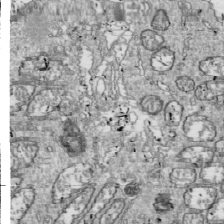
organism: Drosophila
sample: Cell division; meiosis; drosophila spermatocytes